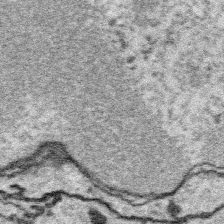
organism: Platynereis dumerilii